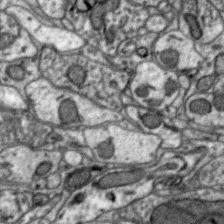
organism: Zebra finch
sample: Brain